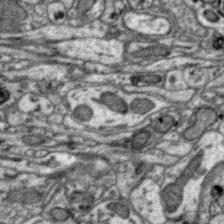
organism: Zebra finch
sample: Brain